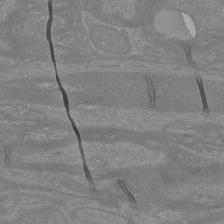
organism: Mouse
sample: Cortical neurons